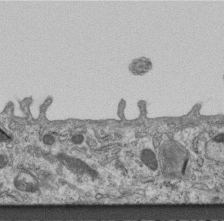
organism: Mouse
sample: Centriole in ependymal cells